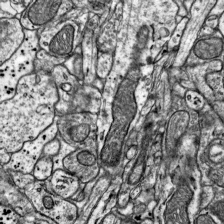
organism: Mouse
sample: Visual Cortex